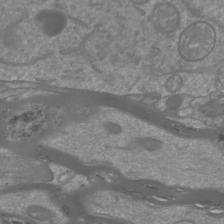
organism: Mouse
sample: Cortical neurons